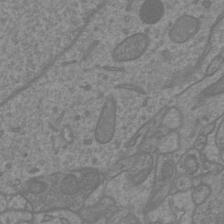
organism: Mouse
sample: Cortical neurons